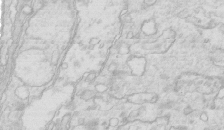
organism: Mouse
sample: Multiciliated cells